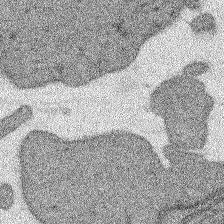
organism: Human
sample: HeLa cells